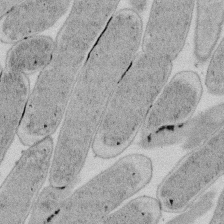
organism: E. coli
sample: Bacterial nucleoid